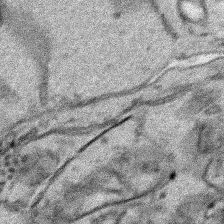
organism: Human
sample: Mitochondria in HCT116 cells